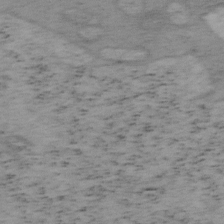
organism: Mouse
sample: OT-I killer T cells with ID8 ovarian cancer cells